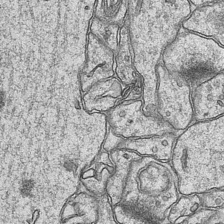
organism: Mouse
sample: CA1 Hippocampus